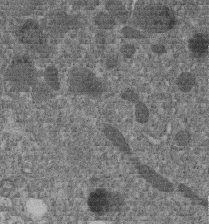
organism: C. elegans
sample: C. elegans embryo early stage